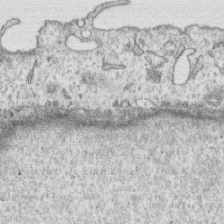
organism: Human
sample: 1205lu cells